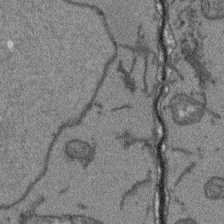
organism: Arabidopsis thaliana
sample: Root tip